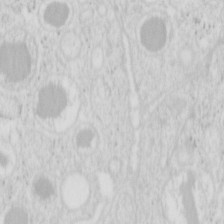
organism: Mouse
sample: Pancreas